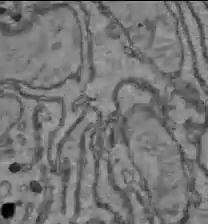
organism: C57BL Mouse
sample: Liver